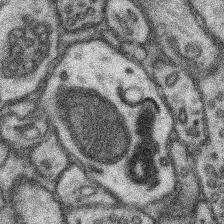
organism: Mouse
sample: Somatosensory cortex neuropil